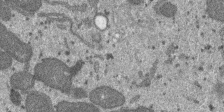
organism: Human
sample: Lung epithelial cells infected with SARS-CoV-2